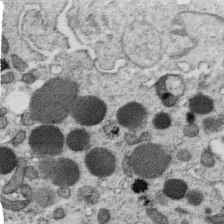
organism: C. elegans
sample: C. elegans oocyte; sperm cells